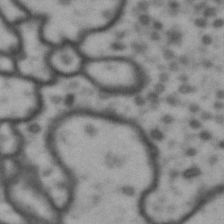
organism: Drosophila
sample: Brain